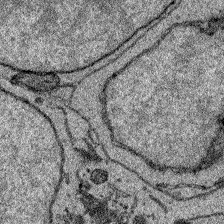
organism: Zebrafish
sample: Larval olfactory bulb